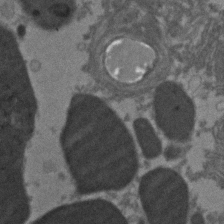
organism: Zebrafish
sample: Zebrafish embryo